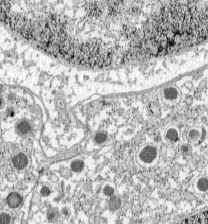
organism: C57BL Mouse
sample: Pancreatic islet